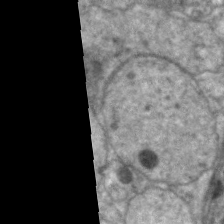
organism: C. elegans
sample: Pharynx